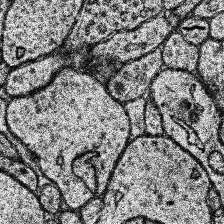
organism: Human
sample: Temporal Lobe